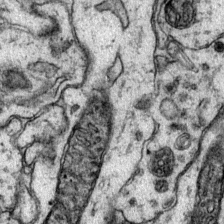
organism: Mouse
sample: Primary visual cortex